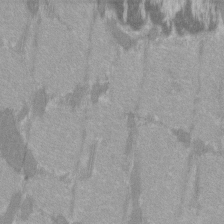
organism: C57BL Mouse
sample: Tibialis anterior muscle cell